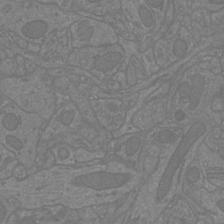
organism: Mouse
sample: Cortical neurons